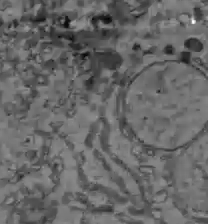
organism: C57BL Mouse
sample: Liver